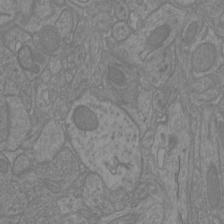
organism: Mouse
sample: Cortical neurons